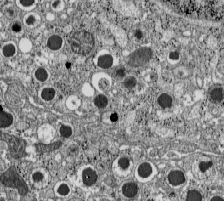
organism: C57BL Mouse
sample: Pancreatic islet